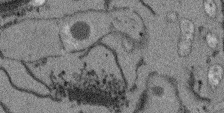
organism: Arabidopsis thaliana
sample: Root tip